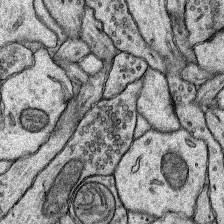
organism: Rat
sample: Hippocampus